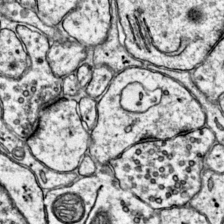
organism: Mouse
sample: Primary visual cortex